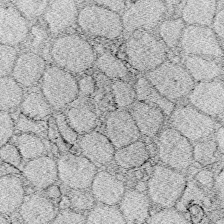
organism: Zebrafish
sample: Whole-Brain